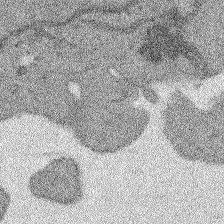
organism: Human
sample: HeLa cells